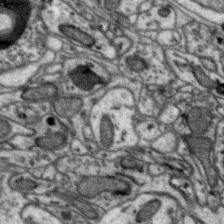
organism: Zebra finch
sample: Brain